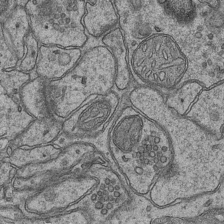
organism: Mouse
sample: CA1 Hippocampus